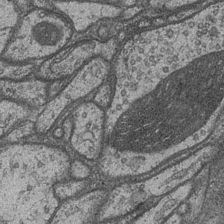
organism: Drosophila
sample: Optic medulla